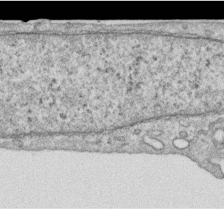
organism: Human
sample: Centriole in RPE cells